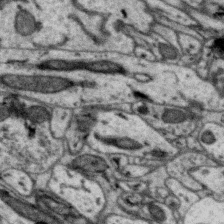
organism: Zebra finch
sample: Brain